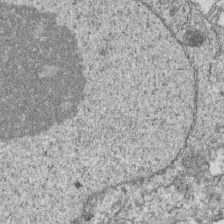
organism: Human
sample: HeLa cell HIV synapse